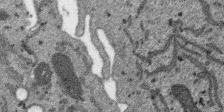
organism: Human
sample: Lung epithelial cells infected with SARS-CoV-2